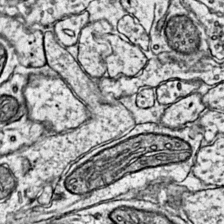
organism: Mouse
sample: Primary visual cortex